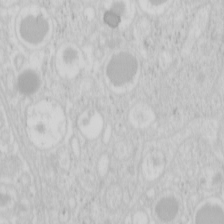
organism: Mouse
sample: Pancreas